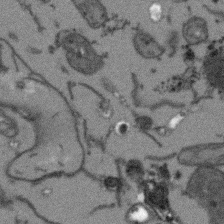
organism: Arabidopsis thaliana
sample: Root tip